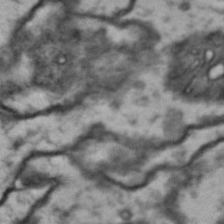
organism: Drosophila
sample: Brain